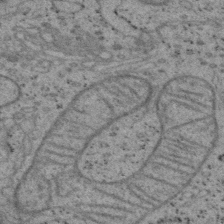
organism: Human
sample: HeLa cells